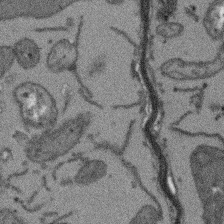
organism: Arabidopsis thaliana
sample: Root tip